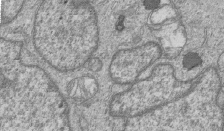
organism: Human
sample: MDA-MB-231 cells